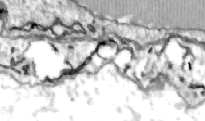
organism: Zebrafish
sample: Actinotrichia fibers